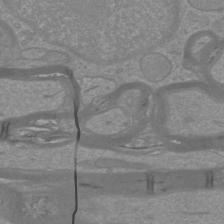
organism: Mouse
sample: Cortical neurons